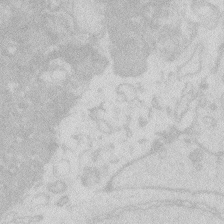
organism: Zebrafish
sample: Macrophage